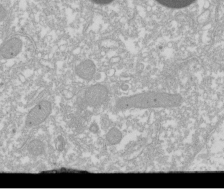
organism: Xenopus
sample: Cilia; centrioles in frog embryo cells